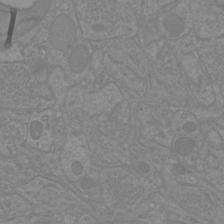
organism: Mouse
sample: Cortical neurons